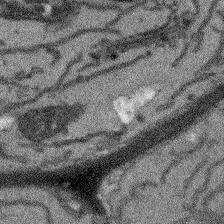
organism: Arabidopsis thaliana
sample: Root tip